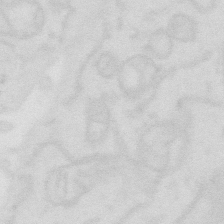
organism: Human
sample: HeLa cells